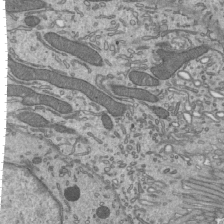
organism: Mouse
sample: Mouse epididymis efferent ductule cilia